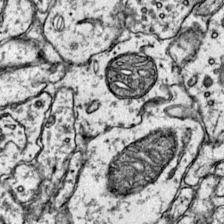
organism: Mouse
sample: Primary visual cortex